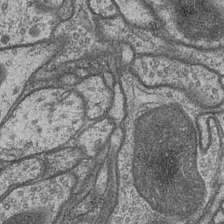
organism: Drosophila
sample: Optic medulla